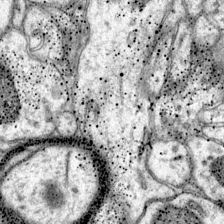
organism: Mouse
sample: Primary visual cortex